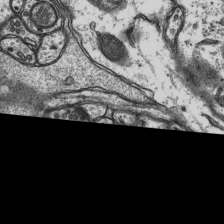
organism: Rat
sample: Hippocampus